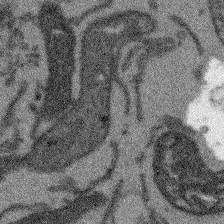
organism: Arabidopsis thaliana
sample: Root tip